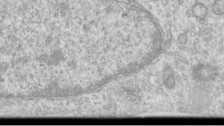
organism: Human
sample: Centriole in RPE cells